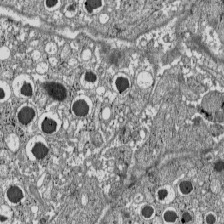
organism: C57BL Mouse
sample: Pancreatic islet